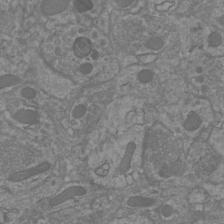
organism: Mouse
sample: Cortical neurons